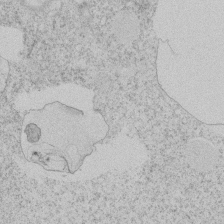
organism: Tetrahymena